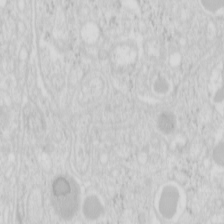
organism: Mouse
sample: Pancreas